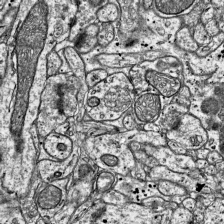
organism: Mouse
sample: Visual Cortex